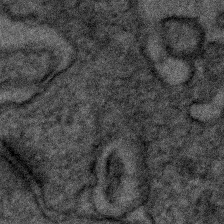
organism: Human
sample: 1205lu cells